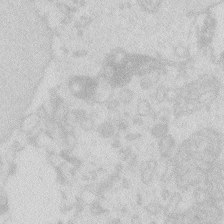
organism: Zebrafish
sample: Macrophage